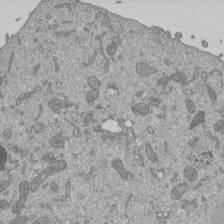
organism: Mouse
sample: ED-1 cell nuclei; centrioles